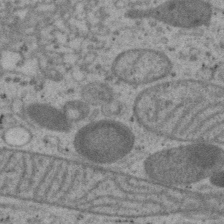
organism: Human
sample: HeLa cells